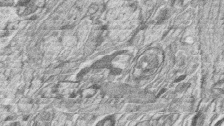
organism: Zebrafish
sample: synaptic ribbons in rod cells and cone cells